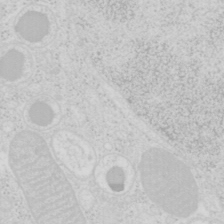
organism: Mouse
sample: Pancreas